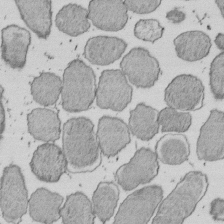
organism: E. coli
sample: Bacterial nucleoid